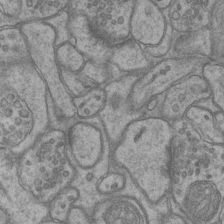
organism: Mouse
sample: CA1 Hippocampus